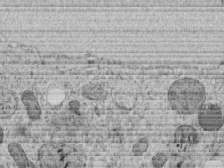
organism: C. elegans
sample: C. elegans embryo early stage